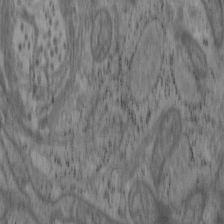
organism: Human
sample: HeLa cells